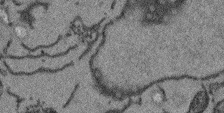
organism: Arabidopsis thaliana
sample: Root tip